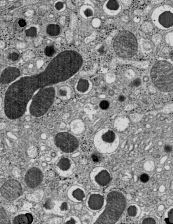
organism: C57BL Mouse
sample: Pancreatic islet